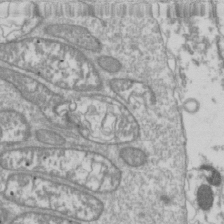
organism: Drosophila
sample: Cell division; meiosis; drosophila spermatocytes